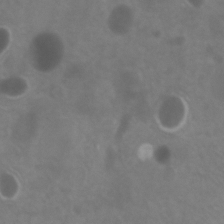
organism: Zebrafish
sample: Zebrafish embryo